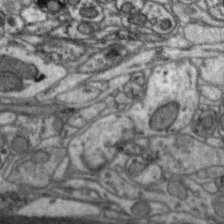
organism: Zebra finch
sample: Brain